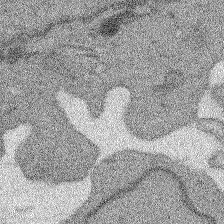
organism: Human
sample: HeLa cells